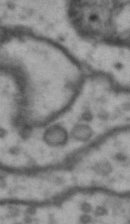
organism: Drosophila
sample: Brain